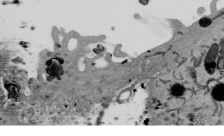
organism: Mouse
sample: ED-1 cell nuclei; centrioles